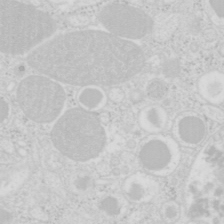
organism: Mouse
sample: Pancreas